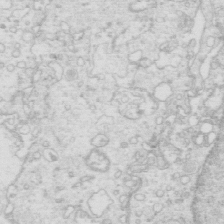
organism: Mouse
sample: Multiciliated cells